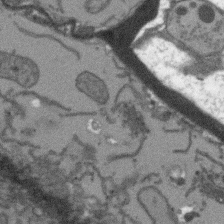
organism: Arabidopsis thaliana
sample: Root tip